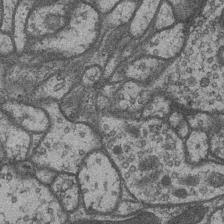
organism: Drosophila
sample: Optic medulla